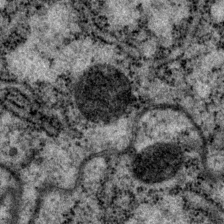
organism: P. pacificus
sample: Pharynx